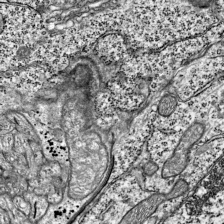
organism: Mouse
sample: Visual Cortex